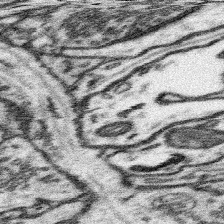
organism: Mouse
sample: Somatosensory cortex neuropil